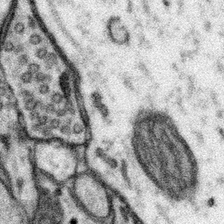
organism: Mouse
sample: Somatosensory cortex neuropil